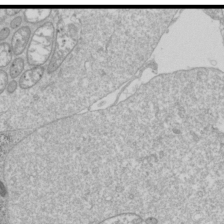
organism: Drosophila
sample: Cell division; meiosis; drosophila spermatocytes